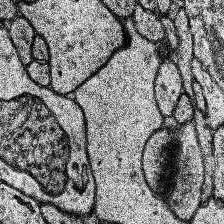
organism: Human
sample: Temporal Lobe